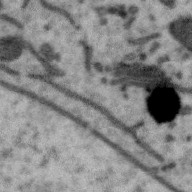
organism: Zebra finch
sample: Brain